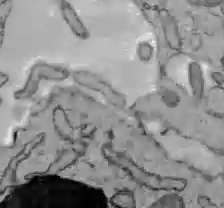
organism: C57BL Mouse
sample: Liver